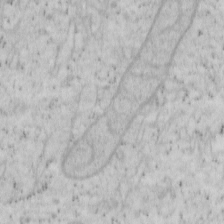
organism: Human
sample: HeLa cells